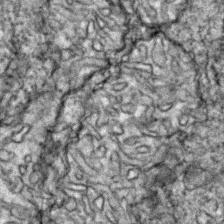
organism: Zebrafish